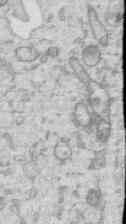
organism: Human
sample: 1205lu cells